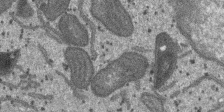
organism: Human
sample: Lung epithelial cells infected with SARS-CoV-2